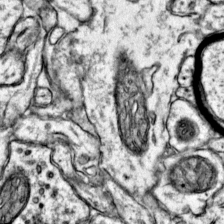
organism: Mouse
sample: Primary visual cortex